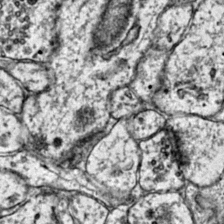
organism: Mouse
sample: Primary visual cortex